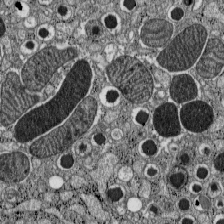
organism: C57BL Mouse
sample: Pancreatic islet